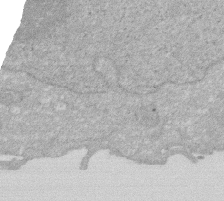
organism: Human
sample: HIV infected U937 cells